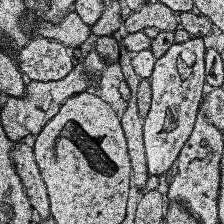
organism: Human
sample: Temporal Lobe